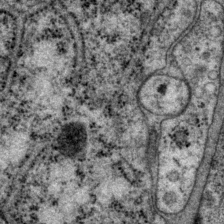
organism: P. pacificus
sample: Pharynx